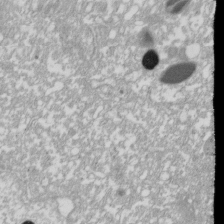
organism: Xenopus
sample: Cilia; centrioles in frog embryo cells